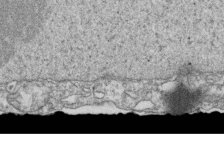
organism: Human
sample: HeLa cell HIV synapse